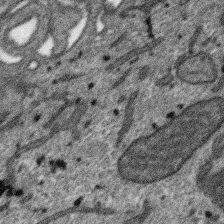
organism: Human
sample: Lung epithelial cells infected with SARS-CoV-2